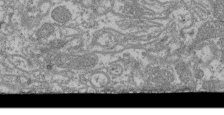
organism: Mouse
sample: Glomerulus